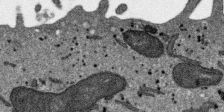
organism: Human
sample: Lung epithelial cells, uninfected (mock) control